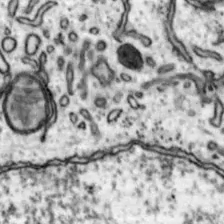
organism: Mouse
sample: Nucleus accumbens